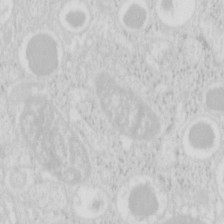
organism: Mouse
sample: Pancreas